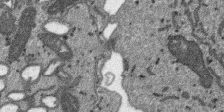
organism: Human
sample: Lung epithelial cells infected with SARS-CoV-2